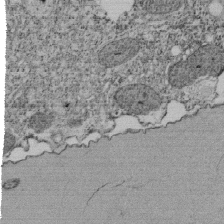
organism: Tetrahymena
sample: Cilia in tetrahymena